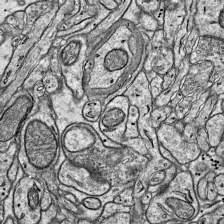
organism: Mouse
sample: Visual Cortex